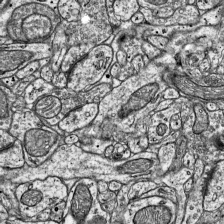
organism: Mouse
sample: Visual Cortex